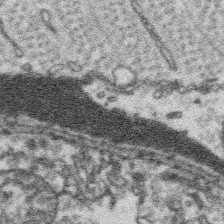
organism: Platynereis dumerilii